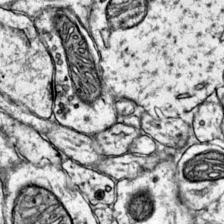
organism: Mouse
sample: Primary visual cortex